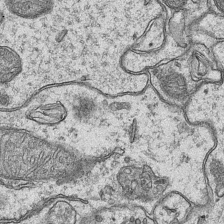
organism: Mouse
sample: CA1 Hippocampus